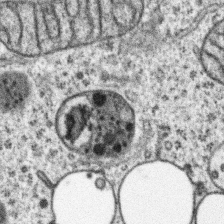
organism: Human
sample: HeLa cells